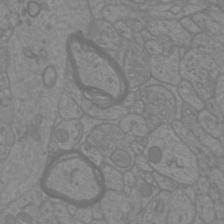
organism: Mouse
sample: Cortical neurons